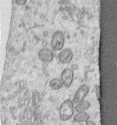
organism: Human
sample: Centriole in RPE cells